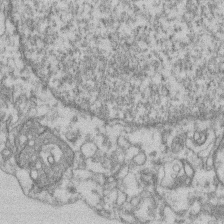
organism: Mouse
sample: T cell stromal cell synapse